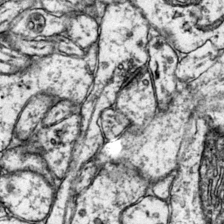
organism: Mouse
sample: Primary visual cortex